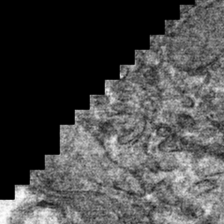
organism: Mouse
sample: Mouse hepatocytes